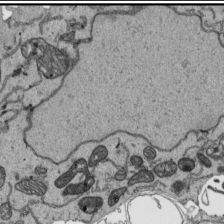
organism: Human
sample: Mitochondria in HCT116 cells